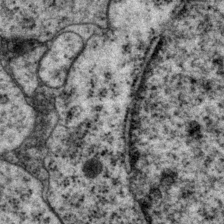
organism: P. pacificus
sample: Pharynx